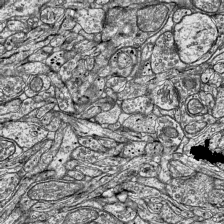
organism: Mouse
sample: Visual Cortex